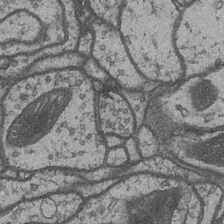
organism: Drosophila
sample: Optic medulla